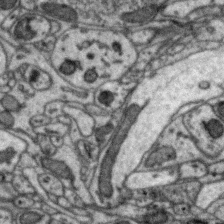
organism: Zebra finch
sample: Brain